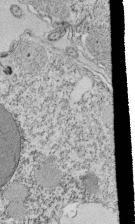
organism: Tetrahymena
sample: Cilia in tetrahymena